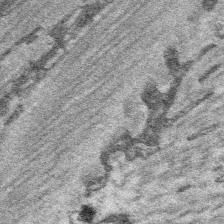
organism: Platynereis dumerilii